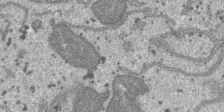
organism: Human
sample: Lung epithelial cells infected with SARS-CoV-2